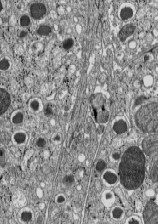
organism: C57BL Mouse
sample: Pancreatic islet